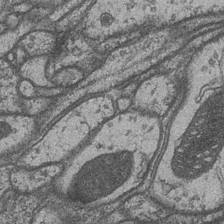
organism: Drosophila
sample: Optic medulla